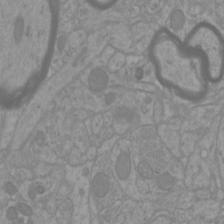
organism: Mouse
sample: Cortical neurons